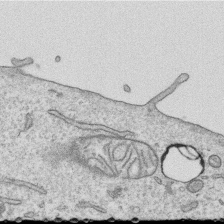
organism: Human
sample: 1205lu cells